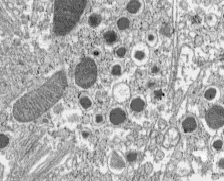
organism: C57BL Mouse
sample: Pancreatic islet